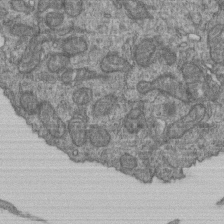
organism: Human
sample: Retinal organoid Rod and Cone cells